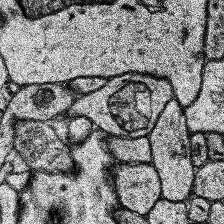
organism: Human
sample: Temporal Lobe